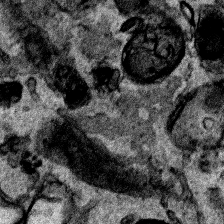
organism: Human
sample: Mitochondria in HCT116 cells